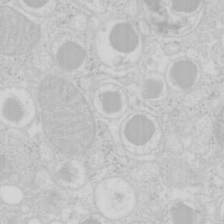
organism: Mouse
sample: Pancreas